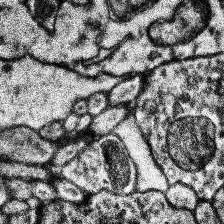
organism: Human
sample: Temporal Lobe